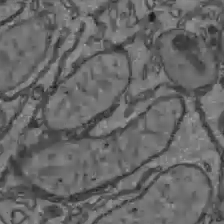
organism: C57BL Mouse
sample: Liver